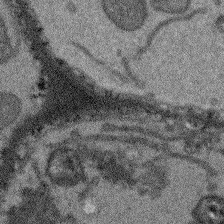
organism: Arabidopsis thaliana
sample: Root tip